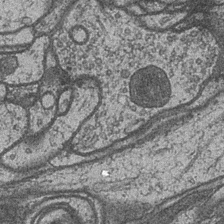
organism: Drosophila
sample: Optic medulla